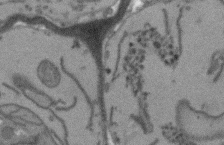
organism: Arabidopsis thaliana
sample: Root tip